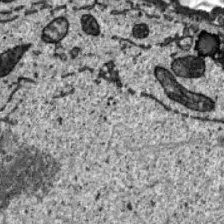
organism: Human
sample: HeLa cells